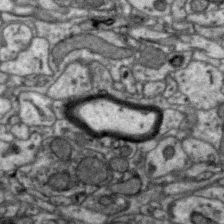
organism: Zebra finch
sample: Brain